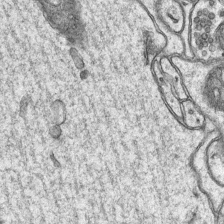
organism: Mouse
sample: CA1 Hippocampus